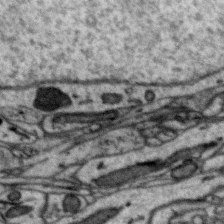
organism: Zebra finch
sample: Brain